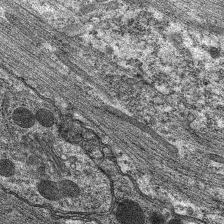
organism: C. elegans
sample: Pharynx